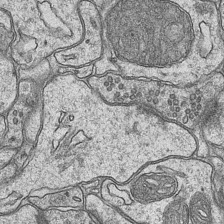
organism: Mouse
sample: CA1 Hippocampus